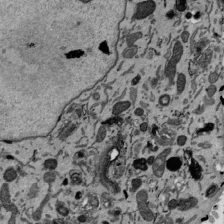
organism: Mouse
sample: ED-1 cell nuclei; centrioles